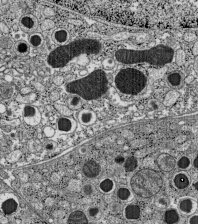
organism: C57BL Mouse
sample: Pancreatic islet